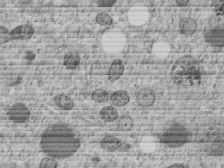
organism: C. elegans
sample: C. elegans embryo early stage